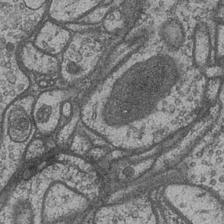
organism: Drosophila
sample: Optic medulla